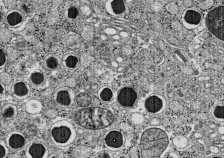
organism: C57BL Mouse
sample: Pancreatic islet